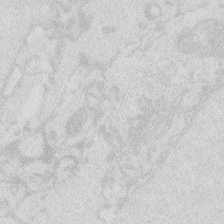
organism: Zebrafish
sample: Macrophage